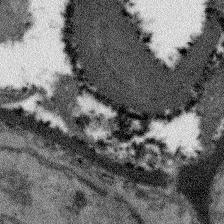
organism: Arabidopsis thaliana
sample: Root tip